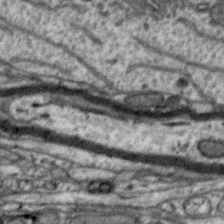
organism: Zebra finch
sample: Brain